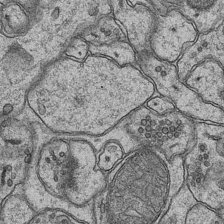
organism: Mouse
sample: CA1 Hippocampus